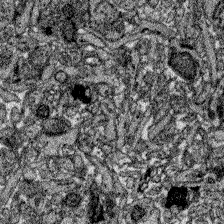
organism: Zebrafish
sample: Larval olfactory bulb